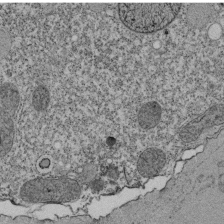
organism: Tetrahymena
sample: Cilia in tetrahymena